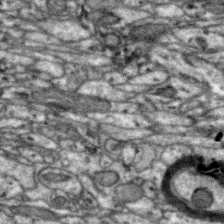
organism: Zebra finch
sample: Brain